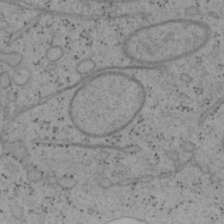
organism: Human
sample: HeLa cells